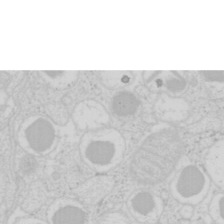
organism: Mouse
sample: Pancreas